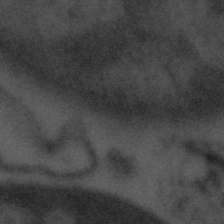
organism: Tuwongella immobilis